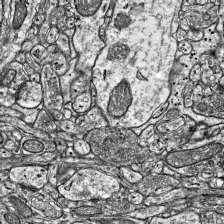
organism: Mouse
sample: Visual Cortex